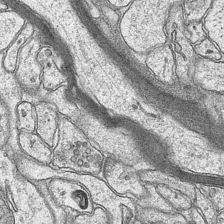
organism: Mouse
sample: CA1 Hippocampus